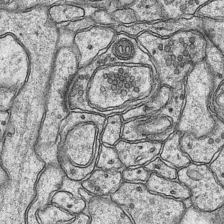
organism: Mouse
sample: CA1 Hippocampus